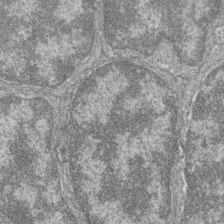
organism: Zebrafish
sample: Cilia; retinal pigment epithelium